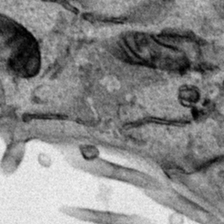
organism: Human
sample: Mitochondria in HCT116 cells